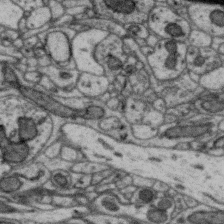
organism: Zebra finch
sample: Brain